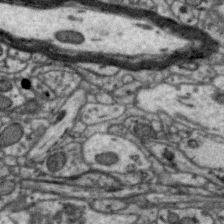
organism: Zebra finch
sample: Brain